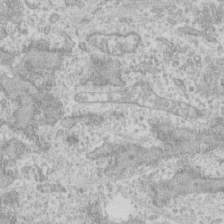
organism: Human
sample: CRL-1474